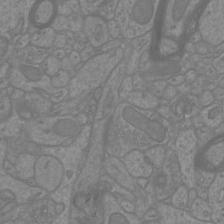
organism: Mouse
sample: Cortical neurons